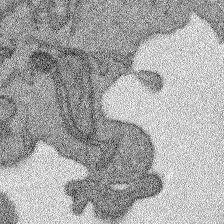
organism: Human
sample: HeLa cells